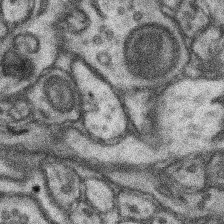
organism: Mouse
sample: Somatosensory cortex neuropil